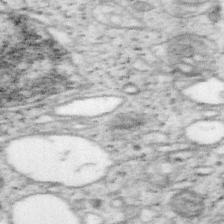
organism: Mouse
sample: OT-I killer T cells with ID8 ovarian cancer cells